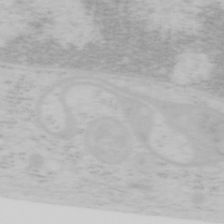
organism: Mouse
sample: OT-I killer T cells with ID8 ovarian cancer cells